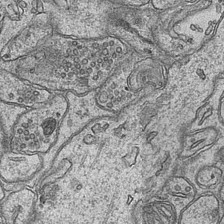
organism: Mouse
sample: CA1 Hippocampus